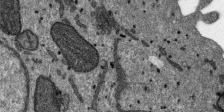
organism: Human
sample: Lung epithelial cells, uninfected (mock) control